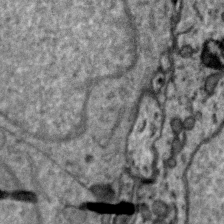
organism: Zebra finch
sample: Brain